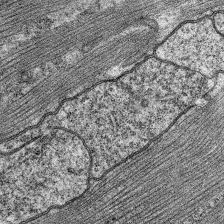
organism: C. elegans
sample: Pharynx